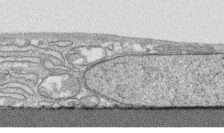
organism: Human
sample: CRL-1474